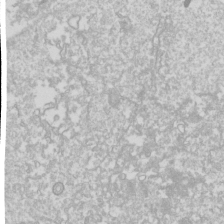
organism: Drosophila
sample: Cell division; meiosis; drosophila spermatocytes